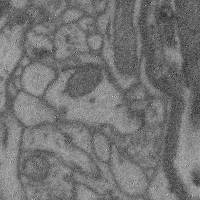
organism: Mouse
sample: Cerebral cortex